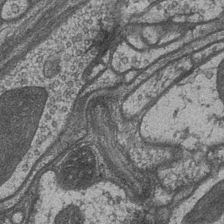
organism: Drosophila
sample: Optic medulla